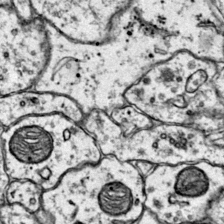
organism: Mouse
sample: Primary visual cortex